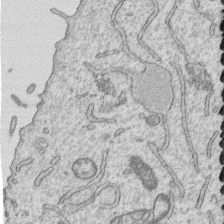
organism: Human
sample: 1205lu cells